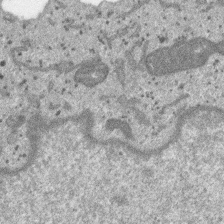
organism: Human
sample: Lung epithelial cells infected with SARS-CoV-2